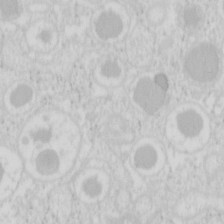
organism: Mouse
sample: Pancreas